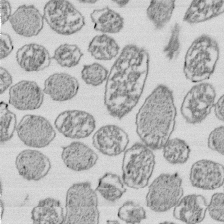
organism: E. coli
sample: Bacterial nucleoid